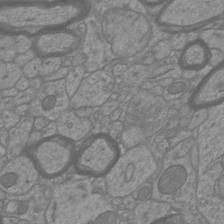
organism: Mouse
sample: Cortical neurons